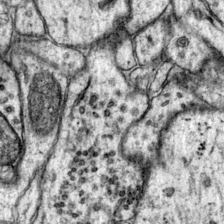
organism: Mouse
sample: Primary visual cortex